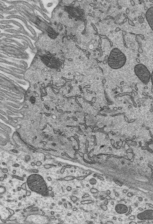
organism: Mouse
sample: Mouse epididymis efferent ductule cilia